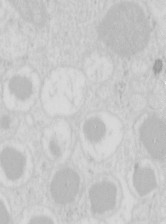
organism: Mouse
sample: Pancreas